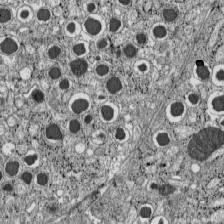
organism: C57BL Mouse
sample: Pancreatic islet